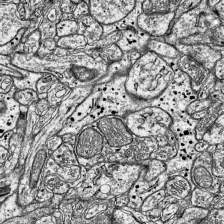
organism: Mouse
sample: Visual Cortex